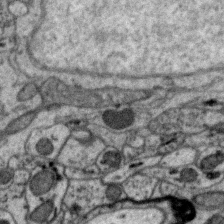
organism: Zebra finch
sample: Brain